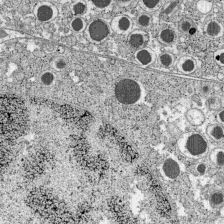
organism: C57BL Mouse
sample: Pancreatic islet